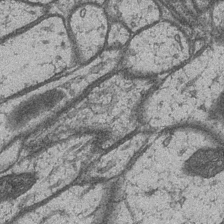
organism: Drosophila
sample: Optic medulla